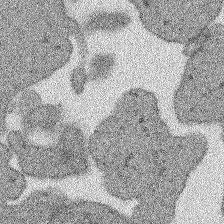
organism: Human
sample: HeLa cells